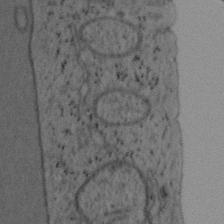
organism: Human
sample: HeLa cells